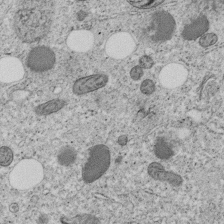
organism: C. elegans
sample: C. elegans embryo early stage